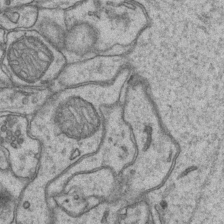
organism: Mouse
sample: CA1 Hippocampus